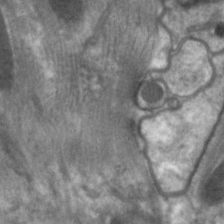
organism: C. elegans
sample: Pharynx